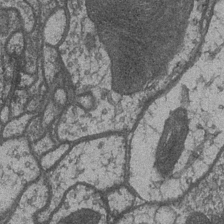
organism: Drosophila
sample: Optic medulla